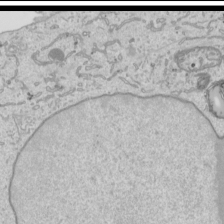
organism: Human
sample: Mitochondria in HCT116 cells